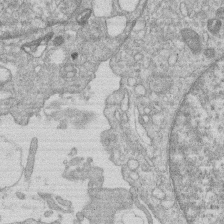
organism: Human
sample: Macrophage cells